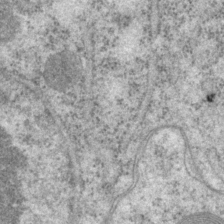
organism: P. pacificus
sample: Pharynx